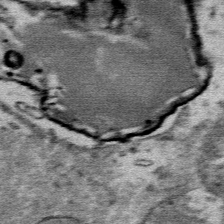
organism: Mouse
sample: Mouse Salivary gland